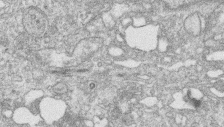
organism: Human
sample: HeLa cell HIV synapse